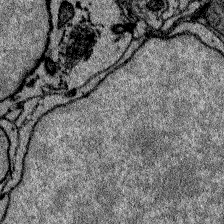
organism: Zebrafish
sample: Larval olfactory bulb